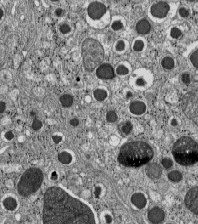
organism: C57BL Mouse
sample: Pancreatic islet